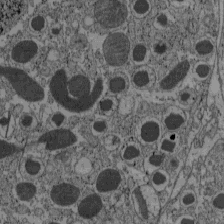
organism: C57BL Mouse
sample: Pancreatic islet